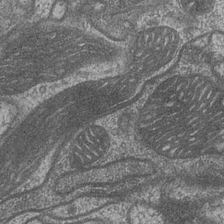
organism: Drosophila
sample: Optic medulla